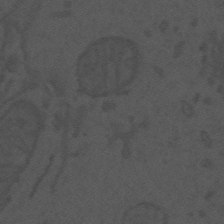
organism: Mouse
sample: Suprachiasmatic nucleus